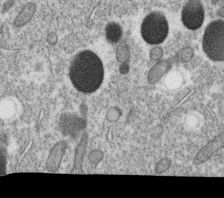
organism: C. elegans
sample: C. elegans oocyte; sperm cells